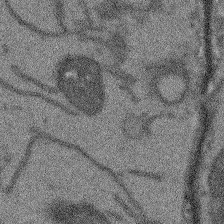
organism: Arabidopsis thaliana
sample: Root tip